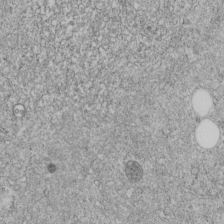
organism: C. elegans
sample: C. elegans embryo early stage